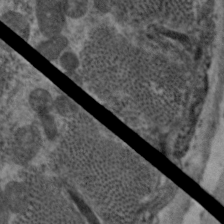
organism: C. elegans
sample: Pharynx